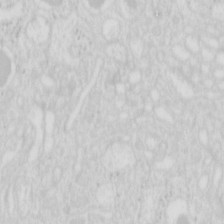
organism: Mouse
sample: Pancreas